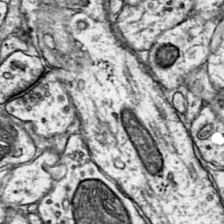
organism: Mouse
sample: Primary visual cortex